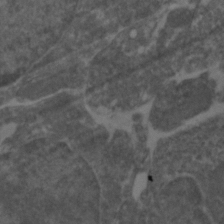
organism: Zebrafish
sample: Zebrafish embryo